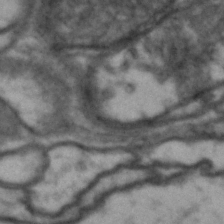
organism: Drosophila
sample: Brain